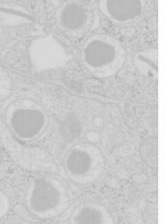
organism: Mouse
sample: Pancreas